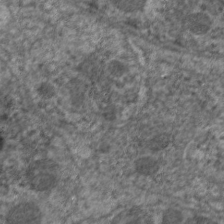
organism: C. elegans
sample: Pharynx